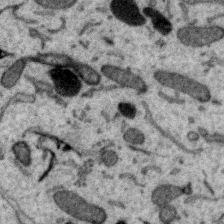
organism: Zebra finch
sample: Brain